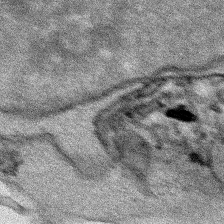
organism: Human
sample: Mitochondria in HCT116 cells